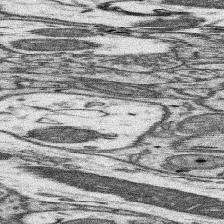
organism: Mouse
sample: Somatosensory cortex neuropil